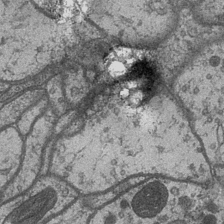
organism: Drosophila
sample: Optic medulla